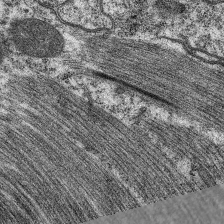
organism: C. elegans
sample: Pharynx